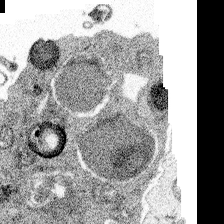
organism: Spongilla lacustris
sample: Multiple